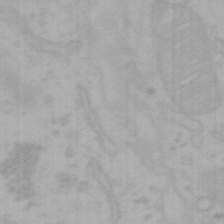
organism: Mouse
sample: Choroid plexus